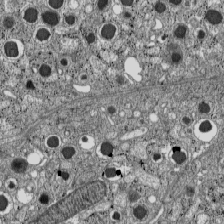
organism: C57BL Mouse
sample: Pancreatic islet